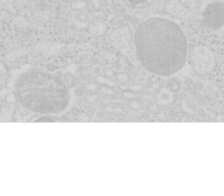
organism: Mouse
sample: Pancreas